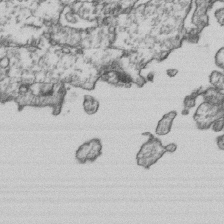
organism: Human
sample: Activated Jurkat CD4+ T cells